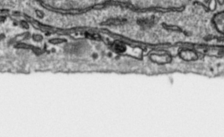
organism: Toxoplasma gondii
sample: Parasites in a vacuole inside a host cell